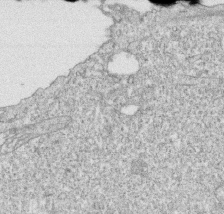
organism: Human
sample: HeLa cell HIV synapse